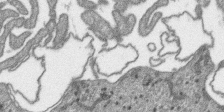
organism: Human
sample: Lung epithelial cells infected with SARS-CoV-2